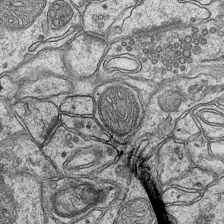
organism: Mouse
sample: CA1 Hippocampus